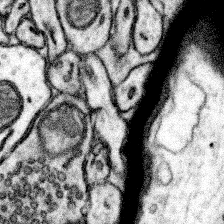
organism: Mouse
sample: Somatosensory cortex neuropil